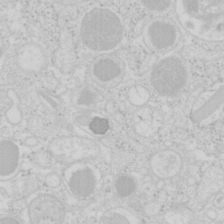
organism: Mouse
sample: Pancreas